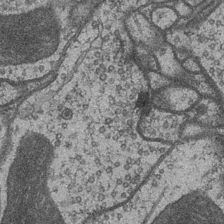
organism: Drosophila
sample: Optic medulla